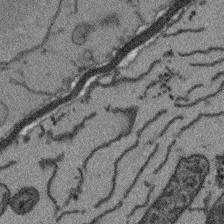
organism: Arabidopsis thaliana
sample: Root tip